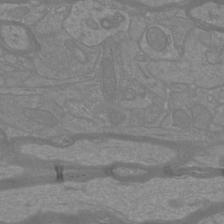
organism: Mouse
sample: Cortical neurons